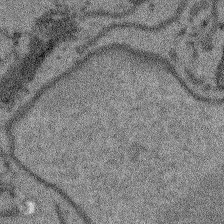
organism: Arabidopsis thaliana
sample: Root tip